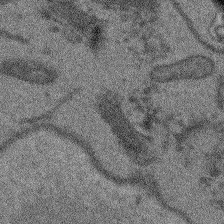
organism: Arabidopsis thaliana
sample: Root tip